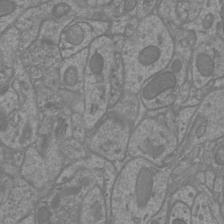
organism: Mouse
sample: Cortical neurons